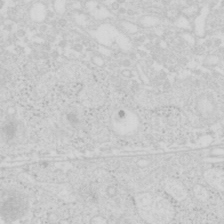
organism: Mouse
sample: Pancreas